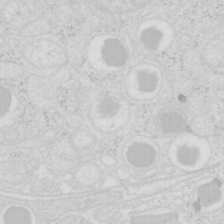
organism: Mouse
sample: Pancreas